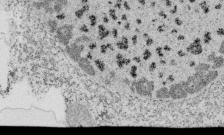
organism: Tetrahymena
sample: Cilia in tetrahymena